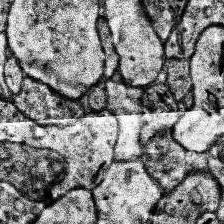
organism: Human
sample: Temporal Lobe